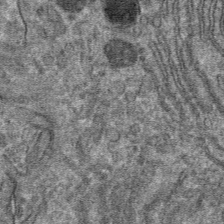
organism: Mouse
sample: Mouse hepatocytes